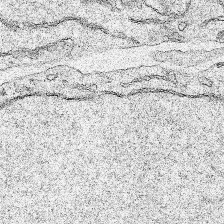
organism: Human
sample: Mitochondria in HCT116 cells